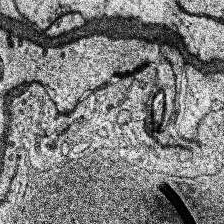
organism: Human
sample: Temporal Lobe